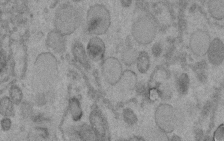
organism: C. elegans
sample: C. elegans embryo early stage